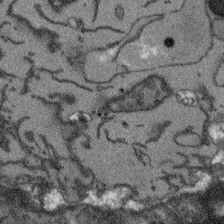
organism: Arabidopsis thaliana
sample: Root tip